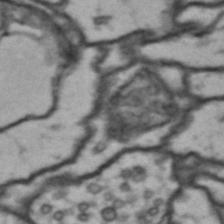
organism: Drosophila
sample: Brain